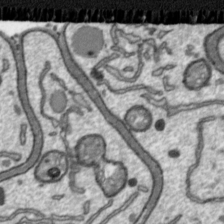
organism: Toxoplasma gondii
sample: Parasites in a vacuole inside a host cell